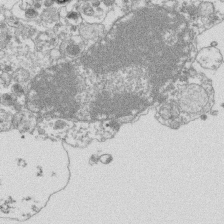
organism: Human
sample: HeLa cell HIV synapse